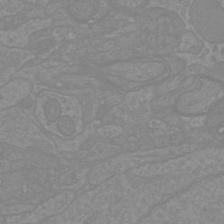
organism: Mouse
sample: Cortical neurons